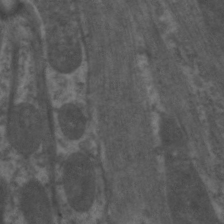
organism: C. elegans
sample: Pharynx